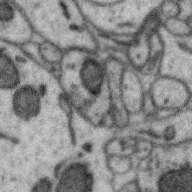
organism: Zebra finch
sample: Brain